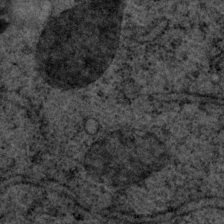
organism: P. pacificus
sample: Pharynx